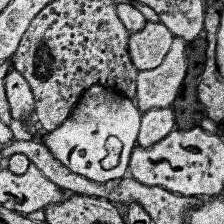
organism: Human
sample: Temporal Lobe